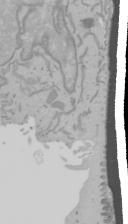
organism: Mouse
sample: Cancer cell death in ED-1 cells